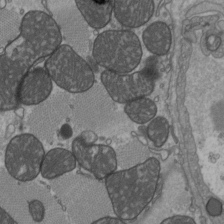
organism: C57BL Mouse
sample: Heart